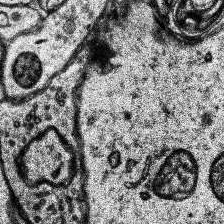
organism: Human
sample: Temporal Lobe